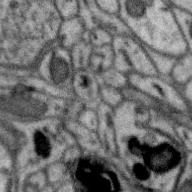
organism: Zebra finch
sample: Brain